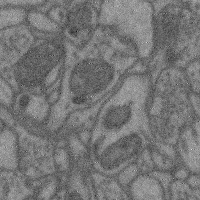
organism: Mouse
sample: Cerebral cortex